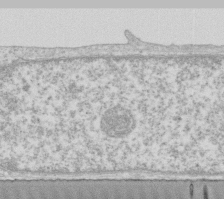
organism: Human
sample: Fibroblast cells